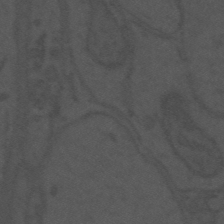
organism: Mouse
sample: Suprachiasmatic nucleus